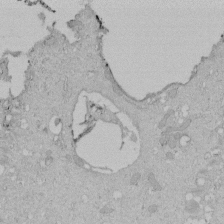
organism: Human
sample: Melanocyte Keratinocyte synapse skin construct